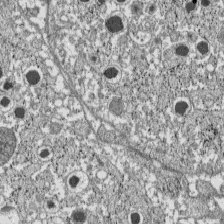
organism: C57BL Mouse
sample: Pancreatic islet